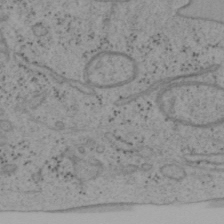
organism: Human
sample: HeLa cells